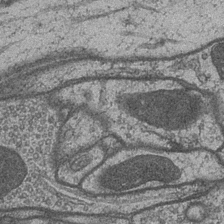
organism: Drosophila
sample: Optic medulla